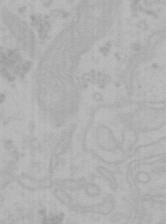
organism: Mouse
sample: Choroid plexus